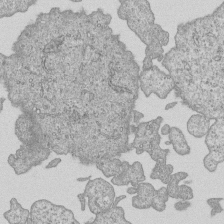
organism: Human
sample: MDA-MB-231 cells